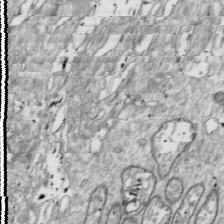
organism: Drosophila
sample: Cell division; meiosis; drosophila spermatocytes